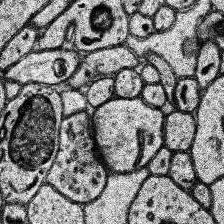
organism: Human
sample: Temporal Lobe